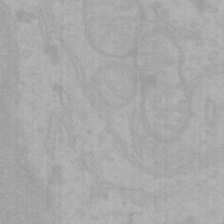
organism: Mouse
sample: Choroid plexus